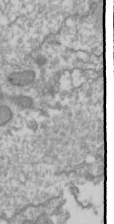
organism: Drosophila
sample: Cell division; meiosis; drosophila spermatocytes